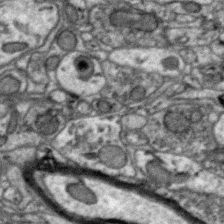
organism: Zebra finch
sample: Brain